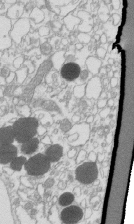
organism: Mouse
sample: Macrophages